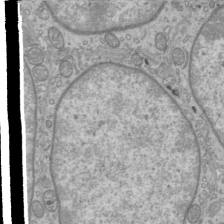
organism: Mouse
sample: Cilia; mouse epididymis